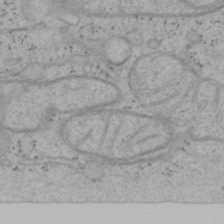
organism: Human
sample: HeLa cells